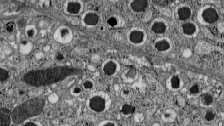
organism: C57BL Mouse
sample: Pancreatic islet